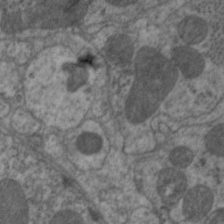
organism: C. elegans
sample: Pharynx